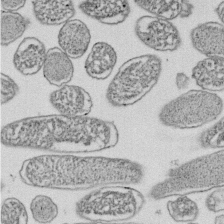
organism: E. coli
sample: Bacterial nucleoid